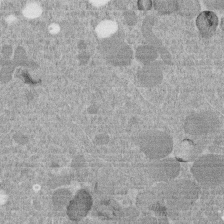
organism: C. elegans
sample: C. elegans embryo early stage